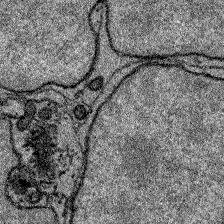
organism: Zebrafish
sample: Larval olfactory bulb